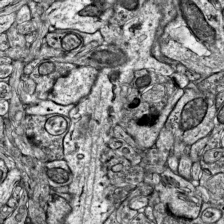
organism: Mouse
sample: Visual Cortex